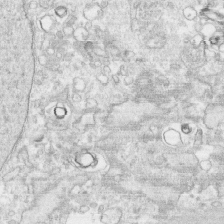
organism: Human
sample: CRL-1474